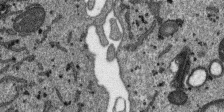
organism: Human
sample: Lung epithelial cells infected with SARS-CoV-2